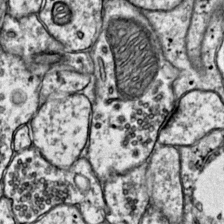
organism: Mouse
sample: Primary visual cortex